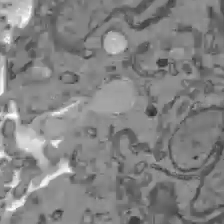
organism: C57BL Mouse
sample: Liver